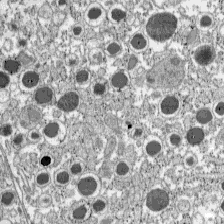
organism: C57BL Mouse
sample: Pancreatic islet